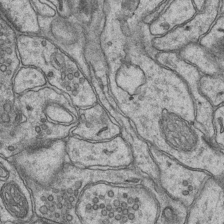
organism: Mouse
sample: CA1 Hippocampus